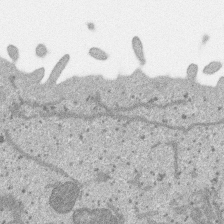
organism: Human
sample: Lung epithelial cells infected with SARS-CoV-2